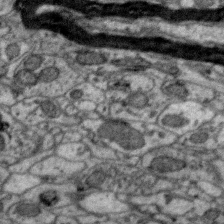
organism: Zebra finch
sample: Brain